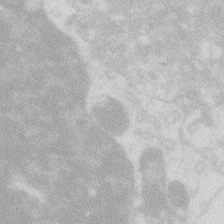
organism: Zebrafish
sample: Macrophage